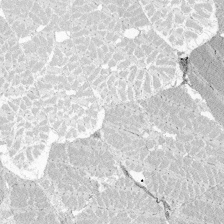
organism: Zebrafish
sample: Whole-Brain